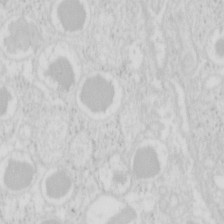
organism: Mouse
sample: Pancreas